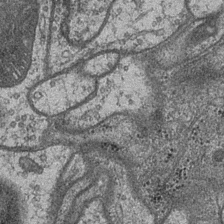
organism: Drosophila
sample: Optic medulla